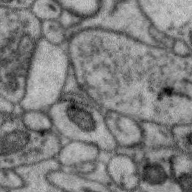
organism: Zebra finch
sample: Brain